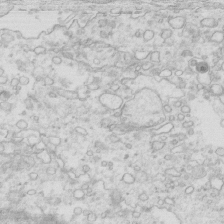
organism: Mouse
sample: Multiciliated cells